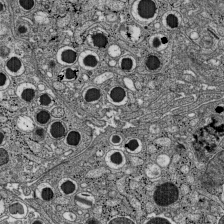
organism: C57BL Mouse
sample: Pancreatic islet